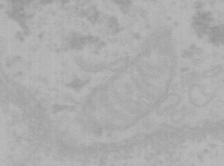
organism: Mouse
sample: Choroid plexus